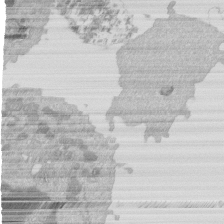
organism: Mouse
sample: Activated Pmel transgenic CD8+ T Cells